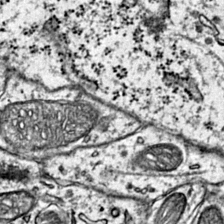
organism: Mouse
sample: Primary visual cortex